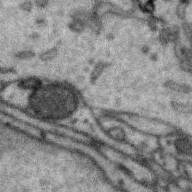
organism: Zebra finch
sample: Brain